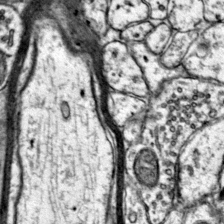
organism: Mouse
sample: Primary visual cortex